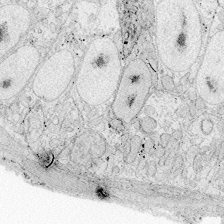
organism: Zebrafish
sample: Whole-Brain